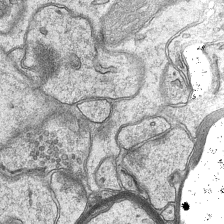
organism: Mouse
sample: CA1 Hippocampus